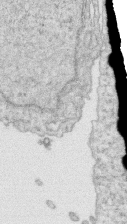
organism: Human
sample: HeLa cell HIV synapse